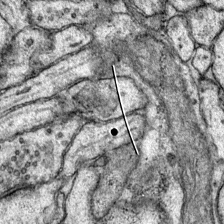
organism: Mouse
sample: Primary visual cortex